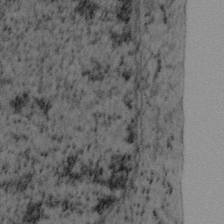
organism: Human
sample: HeLa cells